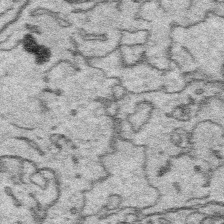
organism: Platynereis dumerilii